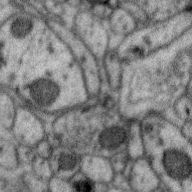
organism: Zebra finch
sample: Brain